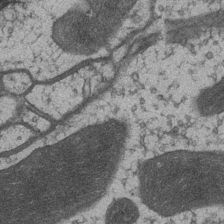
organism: Drosophila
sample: Optic medulla